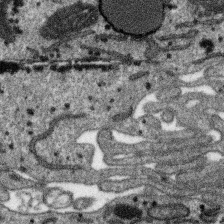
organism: Human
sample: Lung epithelial cells infected with SARS-CoV-2